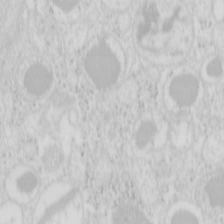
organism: Mouse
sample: Pancreas